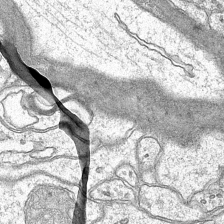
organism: Mouse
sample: CA1 Hippocampus